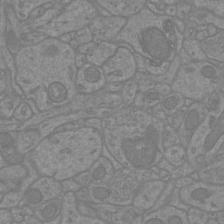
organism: Mouse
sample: Cortical neurons